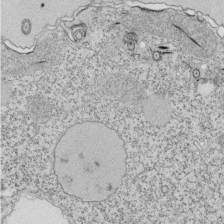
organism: Tetrahymena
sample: Cilia in tetrahymena